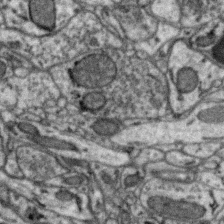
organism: Zebra finch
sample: Brain